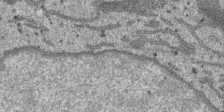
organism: Human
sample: Lung epithelial cells infected with SARS-CoV-2